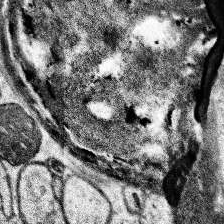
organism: Human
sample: Temporal Lobe